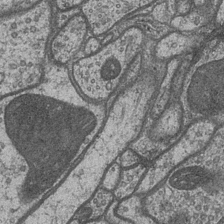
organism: Drosophila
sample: Optic medulla